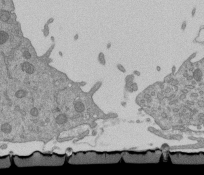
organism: Mouse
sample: ED-1 cell nuclei; centrioles